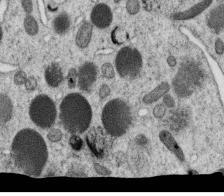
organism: C. elegans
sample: C. elegans oocyte; sperm cells